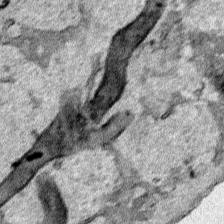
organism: Human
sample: Mitochondria in HCT116 cells